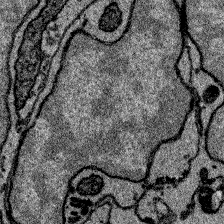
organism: Zebrafish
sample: Larval olfactory bulb